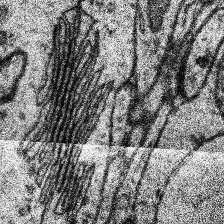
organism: Human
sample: Temporal Lobe